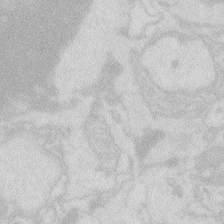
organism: Zebrafish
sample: Macrophage